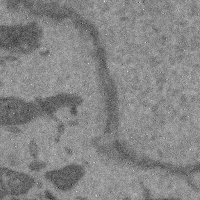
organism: Mouse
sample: Cerebral cortex